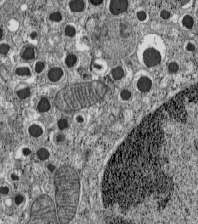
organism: C57BL Mouse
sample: Pancreatic islet